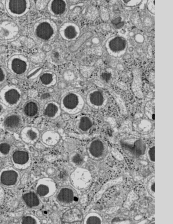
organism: C57BL Mouse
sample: Pancreatic islet